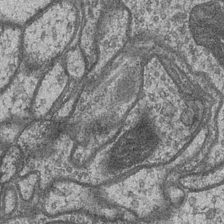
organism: Drosophila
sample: Optic medulla